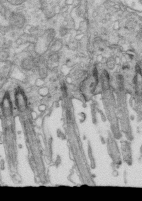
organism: Mouse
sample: Multiciliated cells